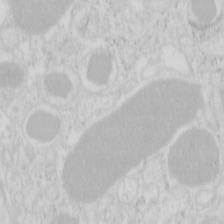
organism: Mouse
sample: Pancreas